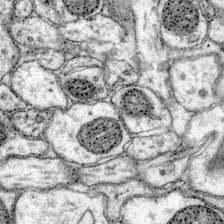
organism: Mouse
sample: Primary visual cortex